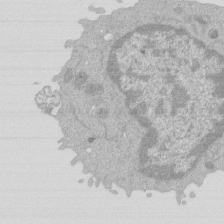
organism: Mouse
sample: Activated Pmel transgenic CD8+ T Cells